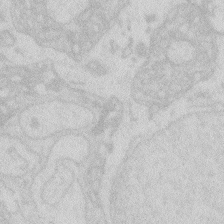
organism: Zebrafish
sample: Macrophage